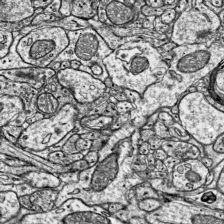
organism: Mouse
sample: Visual Cortex